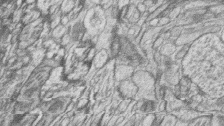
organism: Zebrafish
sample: synaptic ribbons in rod cells and cone cells